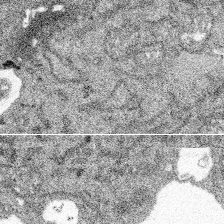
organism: Spongilla lacustris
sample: Multiple